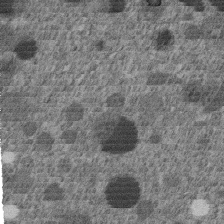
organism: C. elegans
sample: C. elegans embryo early stage